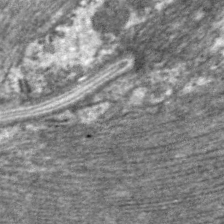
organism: C. elegans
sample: Pharynx